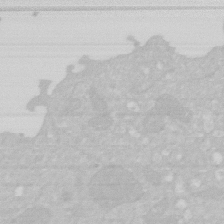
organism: Human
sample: HIV infected U937 cells